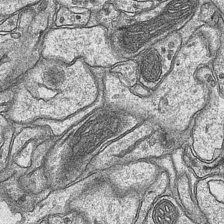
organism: Mouse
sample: CA1 Hippocampus